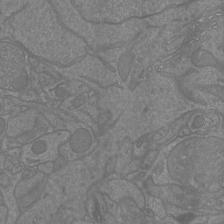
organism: Mouse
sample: Cortical neurons